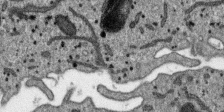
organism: Human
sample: Lung epithelial cells, uninfected (mock) control